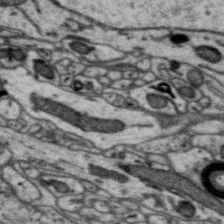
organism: Zebra finch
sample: Brain